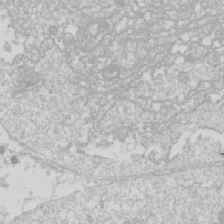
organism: Drosophila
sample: Cell division; meiosis; drosophila spermatocytes